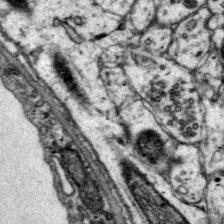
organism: Mouse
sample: Primary visual cortex